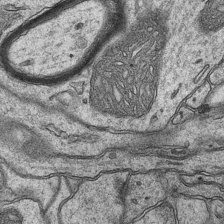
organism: Mouse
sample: CA1 Hippocampus